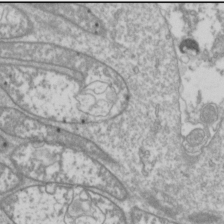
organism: Drosophila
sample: Cell division; meiosis; drosophila spermatocytes